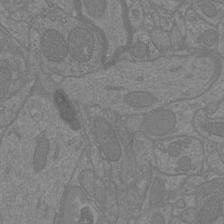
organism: Mouse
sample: Cortical neurons